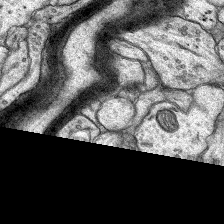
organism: Rat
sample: Hippocampus